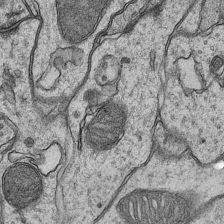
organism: Mouse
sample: CA1 Hippocampus